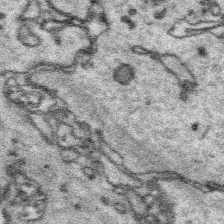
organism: Platynereis dumerilii